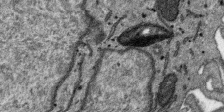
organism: Human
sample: Lung epithelial cells, uninfected (mock) control